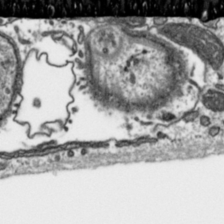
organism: Toxoplasma gondii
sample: Parasites in a vacuole inside a host cell